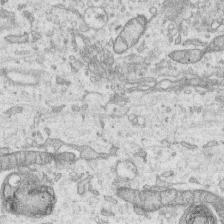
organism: Human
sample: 1205lu cells